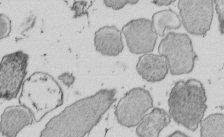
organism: E. coli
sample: Bacterial nucleoid